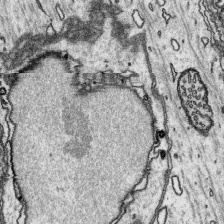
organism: Platynereis dumerilii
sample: Parapodia